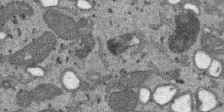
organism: Human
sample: Lung epithelial cells infected with SARS-CoV-2